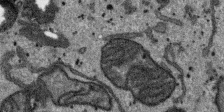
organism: Human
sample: Lung epithelial cells, uninfected (mock) control